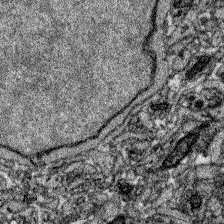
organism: Zebrafish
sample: Larval olfactory bulb